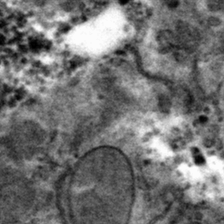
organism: Mouse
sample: Mouse hepatocytes